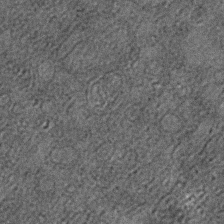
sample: Trachea